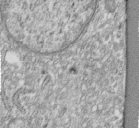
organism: Human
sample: Centriole in fibroblast cells